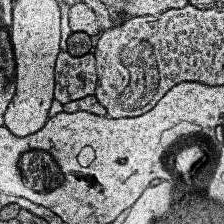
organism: Human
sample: Temporal Lobe